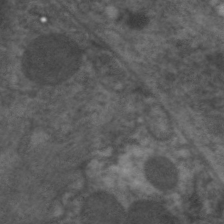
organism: C. elegans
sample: Pharynx